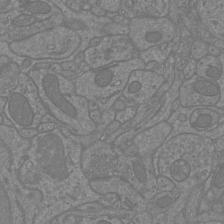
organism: Mouse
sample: Cortical neurons